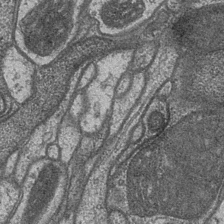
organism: Drosophila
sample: Optic medulla